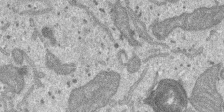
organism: Human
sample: Lung epithelial cells infected with SARS-CoV-2